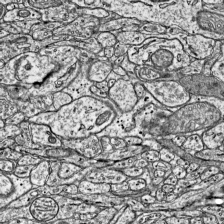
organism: Mouse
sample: Visual Cortex